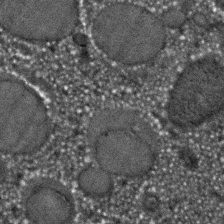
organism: C. elegans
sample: C. elegans embryo